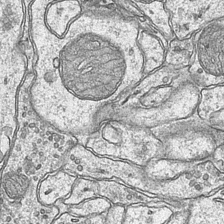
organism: Mouse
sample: CA1 Hippocampus